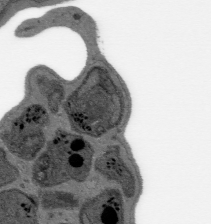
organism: Plasmodium falciparum